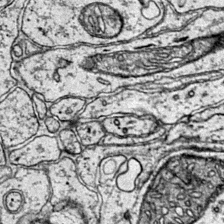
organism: Mouse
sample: Primary visual cortex